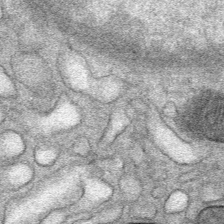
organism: Mouse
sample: Mouse Salivary gland